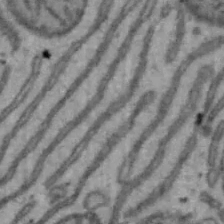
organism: Mouse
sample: Liver